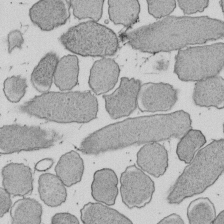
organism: E. coli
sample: Bacterial nucleoid